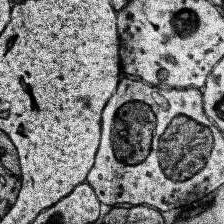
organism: Human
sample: Temporal Lobe